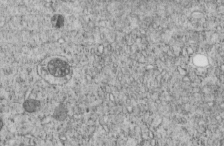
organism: C. elegans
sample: C. elegans embryo early stage